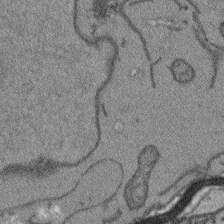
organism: Arabidopsis thaliana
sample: Root tip